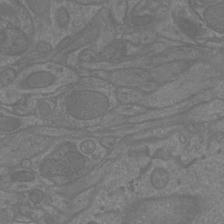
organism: Mouse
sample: Cortical neurons